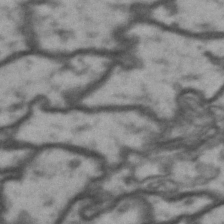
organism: Drosophila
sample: Brain